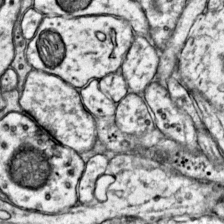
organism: Mouse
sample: Primary visual cortex